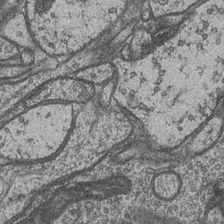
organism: Drosophila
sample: Optic medulla